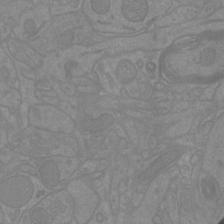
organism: Mouse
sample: Cortical neurons